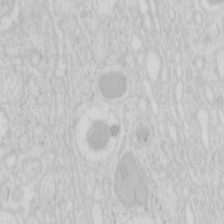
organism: Mouse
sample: Pancreas